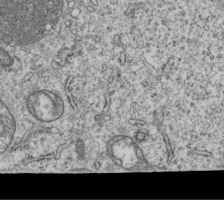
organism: Human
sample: MDA-MB-231 cells